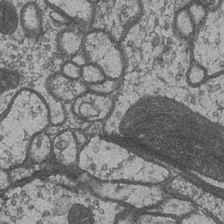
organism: Drosophila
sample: Optic medulla